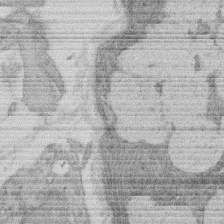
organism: Rat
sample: Salivary granule